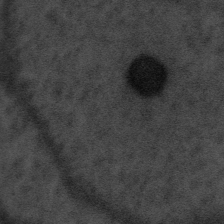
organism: Tuwongella immobilis